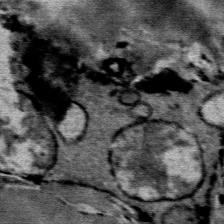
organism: Mouse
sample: Mouse Salivary gland